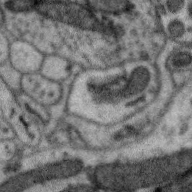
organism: Zebra finch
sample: Brain